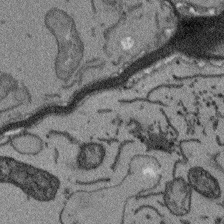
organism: Arabidopsis thaliana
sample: Root tip